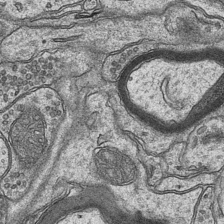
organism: Mouse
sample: CA1 Hippocampus